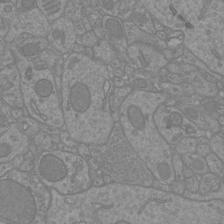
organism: Mouse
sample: Cortical neurons